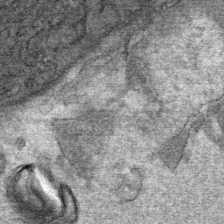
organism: Mouse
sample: Mouse Salivary gland